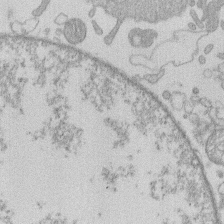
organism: Human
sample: Macrophage cells